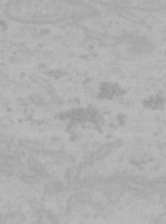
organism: Mouse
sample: Choroid plexus